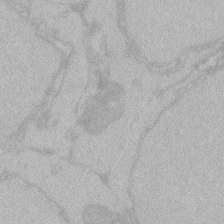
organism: Zebrafish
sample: Macrophage infected with Toxoplasma gondii